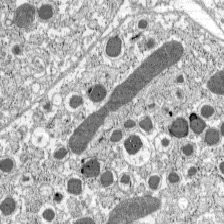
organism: C57BL Mouse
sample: Pancreatic islet